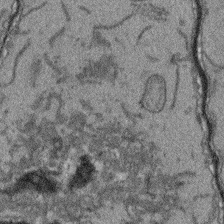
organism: Arabidopsis thaliana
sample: Root tip